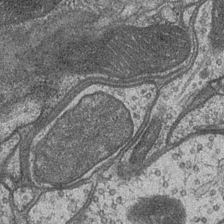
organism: Drosophila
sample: Optic medulla